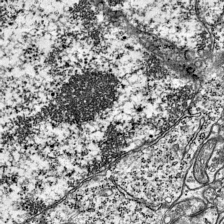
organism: Mouse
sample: Visual Cortex